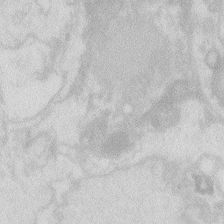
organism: Zebrafish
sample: Macrophage